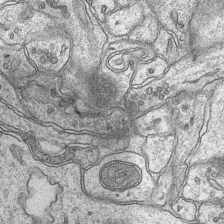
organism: Mouse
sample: CA1 Hippocampus